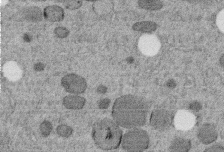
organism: C. elegans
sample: C. elegans embryo early stage